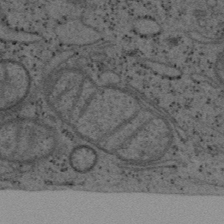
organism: Human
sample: HeLa cells